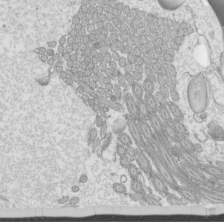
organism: Mouse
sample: Cilia; mouse epididymis